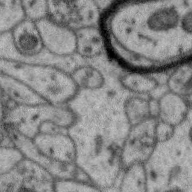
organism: Zebra finch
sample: Brain